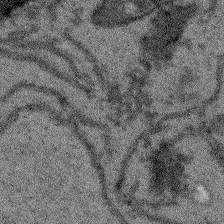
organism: Arabidopsis thaliana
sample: Root tip